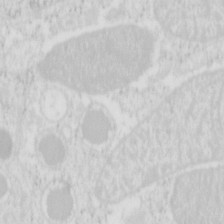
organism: Mouse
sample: Pancreas